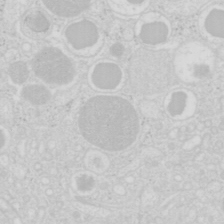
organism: Mouse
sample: Pancreas